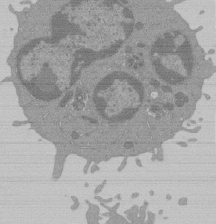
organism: Mouse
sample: Activated Pmel transgenic CD8+ T Cells